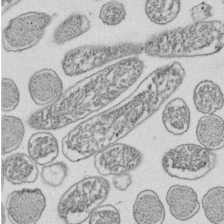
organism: E. coli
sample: Bacterial nucleoid